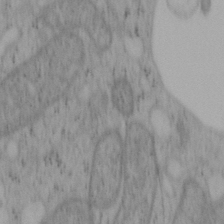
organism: Mouse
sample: OT-I killer T cells with ID8 ovarian cancer cells